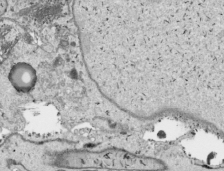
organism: Human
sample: Mitochondria in HCT116 cells